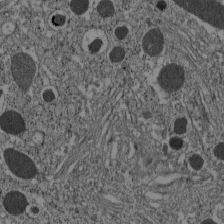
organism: C57BL Mouse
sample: Pancreatic islet